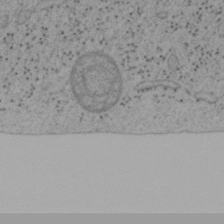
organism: Human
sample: HeLa cells